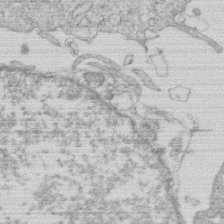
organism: Human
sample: Macrophage cells